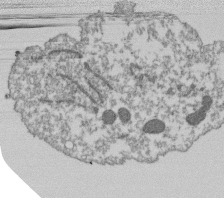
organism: Dictyostelium discoideum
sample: Dictyostelium multivesicular bodies